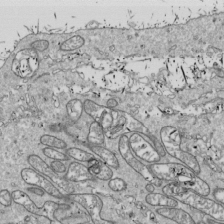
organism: Drosophila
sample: Cell division; meiosis; drosophila spermatocytes